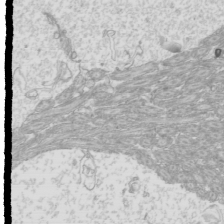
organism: Mouse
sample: Cilia; mouse epididymis